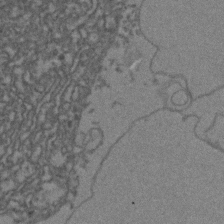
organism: Zebrafish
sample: Zebrafish embryo